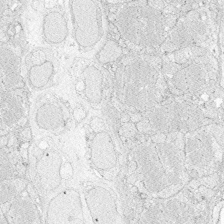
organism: Zebrafish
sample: Whole-Brain